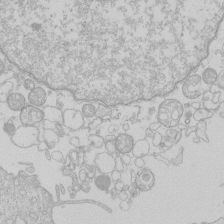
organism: Human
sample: Macrophage cells